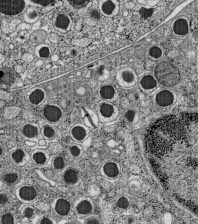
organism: C57BL Mouse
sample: Pancreatic islet